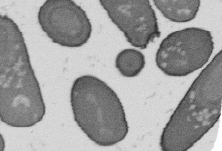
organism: B. subtilis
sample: Bacterial spore